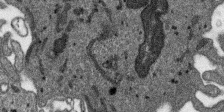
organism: Human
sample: Lung epithelial cells infected with SARS-CoV-2